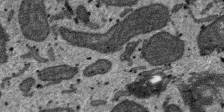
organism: Human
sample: Lung epithelial cells, uninfected (mock) control